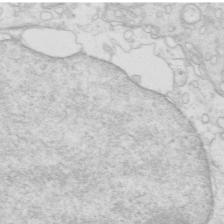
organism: Mouse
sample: Multiciliated cells